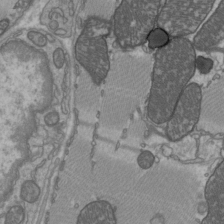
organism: C57BL Mouse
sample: Heart